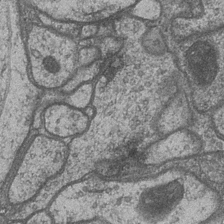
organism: Drosophila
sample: Optic medulla